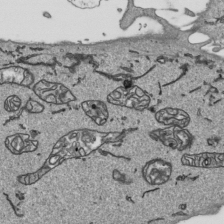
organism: Human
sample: Mitochondria in HCT116 cells